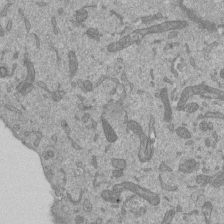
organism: Mouse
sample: ED-1 cell nuclei; centrioles